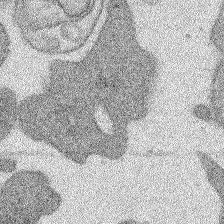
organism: Human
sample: HeLa cells